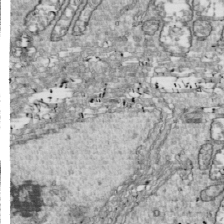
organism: Drosophila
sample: Cell division; meiosis; drosophila spermatocytes